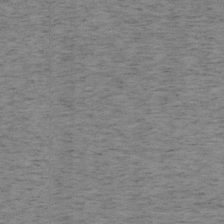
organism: Mouse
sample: OT-I killer T cells with ID8 ovarian cancer cells